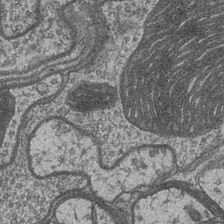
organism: Drosophila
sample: Optic medulla